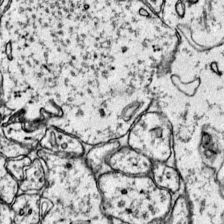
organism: Mouse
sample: Primary visual cortex